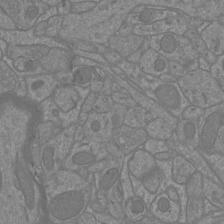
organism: Mouse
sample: Cortical neurons